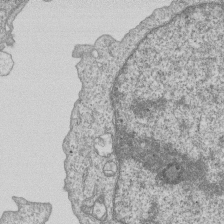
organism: Human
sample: MDA-MB-231 cells